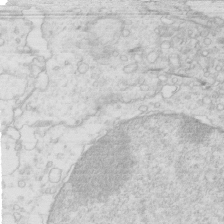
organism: Mouse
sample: Multiciliated cells